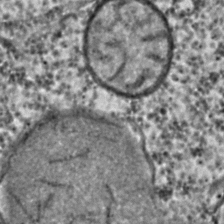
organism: C. elegans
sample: C. elegans embryo